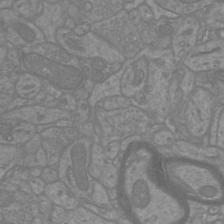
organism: Mouse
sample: Cortical neurons